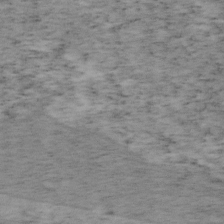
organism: Mouse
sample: OT-I killer T cells with ID8 ovarian cancer cells